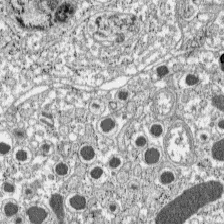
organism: C57BL Mouse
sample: Pancreatic islet